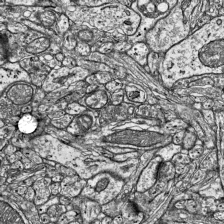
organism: Mouse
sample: Visual Cortex